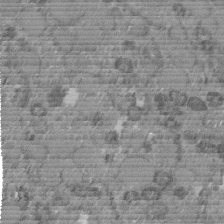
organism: C. elegans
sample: C. elegans embryo early stage